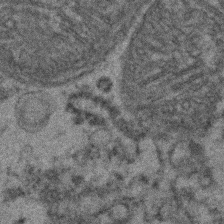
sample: Kidney